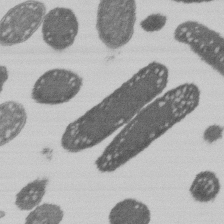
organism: E. coli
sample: Bacterial nucleoid